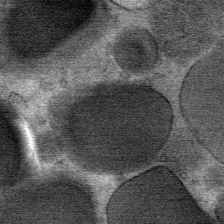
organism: Mouse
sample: Mouse Salivary gland